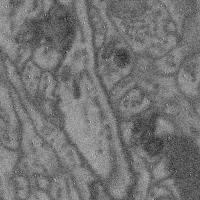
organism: Mouse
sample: Cerebral cortex